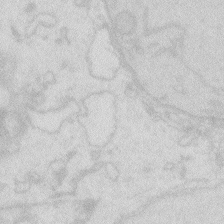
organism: Zebrafish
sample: Macrophage